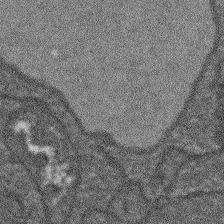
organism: Arabidopsis thaliana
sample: Root tip